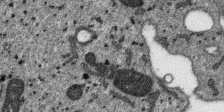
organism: Human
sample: Lung epithelial cells infected with SARS-CoV-2